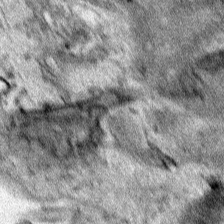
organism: Human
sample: Mitochondria in HCT116 cells